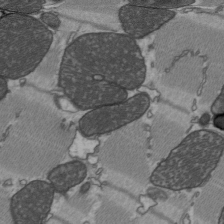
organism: C57BL Mouse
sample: Heart